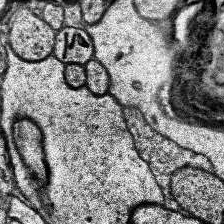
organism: Human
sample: Temporal Lobe